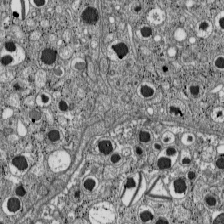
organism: C57BL Mouse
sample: Pancreatic islet